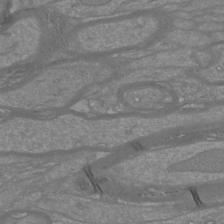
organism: Mouse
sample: Cortical neurons